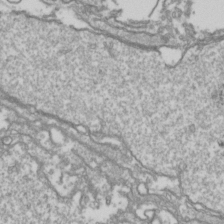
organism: Drosophila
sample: Cell division; meiosis; drosophila spermatocytes